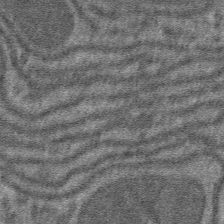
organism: Mouse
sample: Mouse hepatocytes